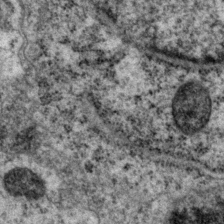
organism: P. pacificus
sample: Pharynx